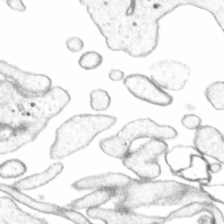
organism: Human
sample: HeLa cells